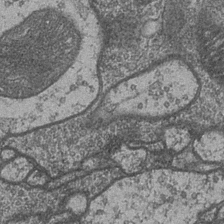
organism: Drosophila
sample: Optic medulla